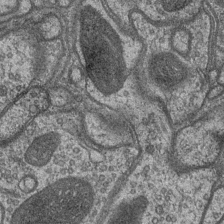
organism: Drosophila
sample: Optic medulla